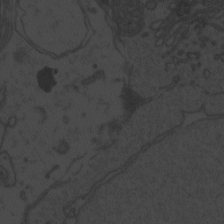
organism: Zebrafish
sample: Macrophage infected with Toxoplasma gondii